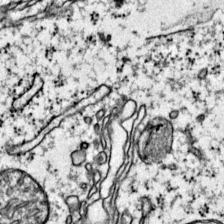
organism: Mouse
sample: Primary visual cortex